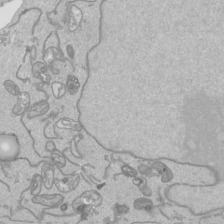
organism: Human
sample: Mitochondria in HCT116 cells